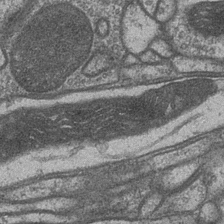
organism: Drosophila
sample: Optic medulla